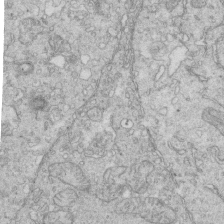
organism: Mouse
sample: Multiciliated cells